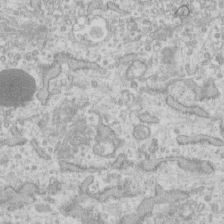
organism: Human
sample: Fibroblast cells